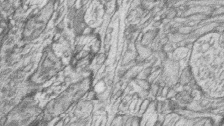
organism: Zebrafish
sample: synaptic ribbons in rod cells and cone cells